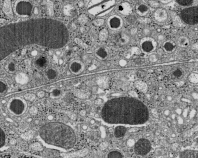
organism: C57BL Mouse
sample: Pancreatic islet